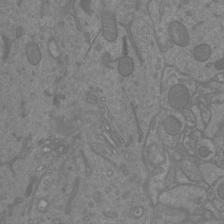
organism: Mouse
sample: Cortical neurons